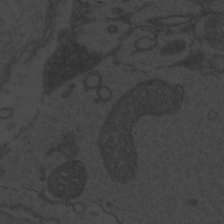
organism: Zebrafish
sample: Macrophage infected with Toxoplasma gondii